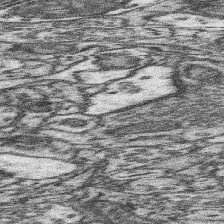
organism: Mouse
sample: Somatosensory cortex neuropil